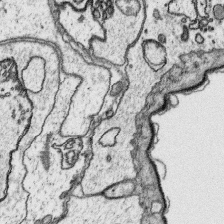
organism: Platynereis dumerilii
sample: Parapodia